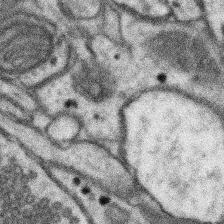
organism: Mouse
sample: Somatosensory cortex neuropil